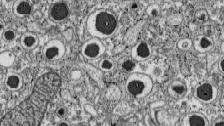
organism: C57BL Mouse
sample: Pancreatic islet